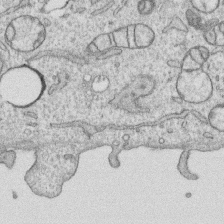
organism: Human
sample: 1205lu cells